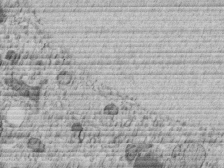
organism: C. elegans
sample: C. elegans embryo early stage